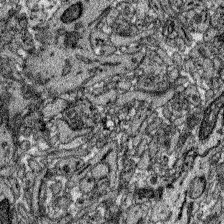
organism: Zebrafish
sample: Larval olfactory bulb